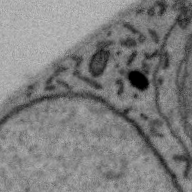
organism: Zebra finch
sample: Brain